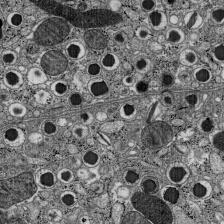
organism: C57BL Mouse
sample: Pancreatic islet